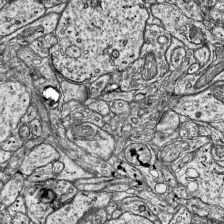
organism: Mouse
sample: Visual Cortex